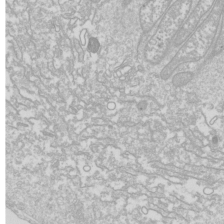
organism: Drosophila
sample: Cell division; meiosis; drosophila spermatocytes